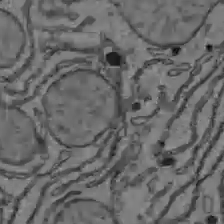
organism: C57BL Mouse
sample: Liver